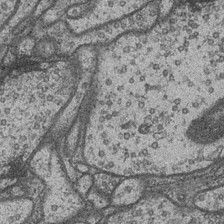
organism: Drosophila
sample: Optic medulla